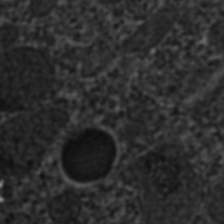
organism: C. elegans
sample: C. elegans embryo